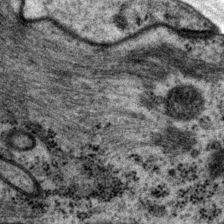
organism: P. pacificus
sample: Pharynx